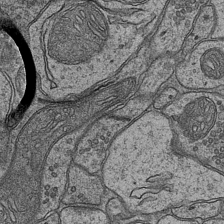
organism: Mouse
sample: CA1 Hippocampus